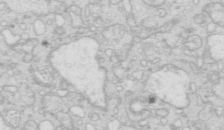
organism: Mouse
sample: Multiciliated cells